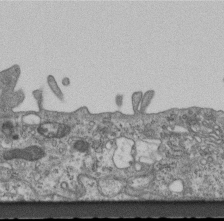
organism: Mouse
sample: Centriole in ependymal cells